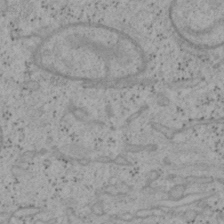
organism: Human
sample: HeLa cells